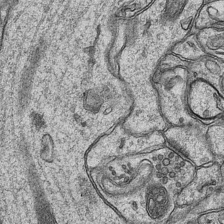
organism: Mouse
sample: CA1 Hippocampus